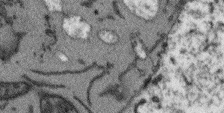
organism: Arabidopsis thaliana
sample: Root tip